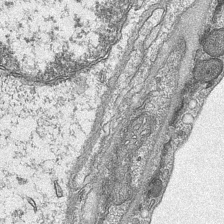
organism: Mouse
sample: CA1 Hippocampus